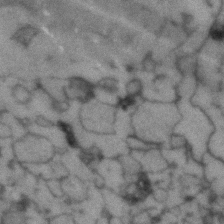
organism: Human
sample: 1205lu cells